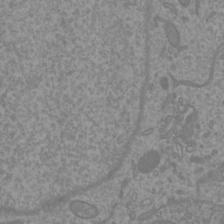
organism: Mouse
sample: Cortical neurons